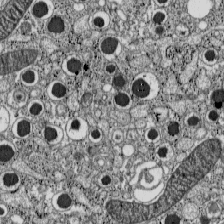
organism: C57BL Mouse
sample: Pancreatic islet